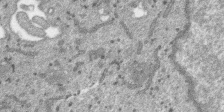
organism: Human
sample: Lung epithelial cells infected with SARS-CoV-2